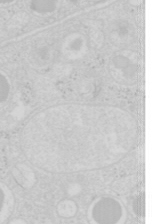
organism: Mouse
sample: Pancreas